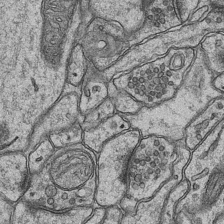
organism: Mouse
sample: CA1 Hippocampus